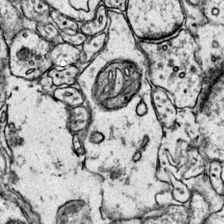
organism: Mouse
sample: Primary visual cortex